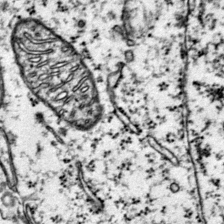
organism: Mouse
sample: Primary visual cortex